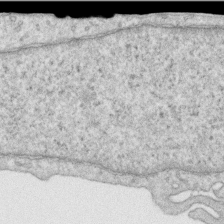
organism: Human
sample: Centriole in RPE cells